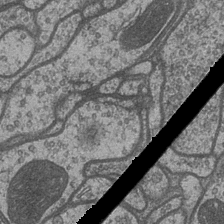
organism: Drosophila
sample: Optic medulla